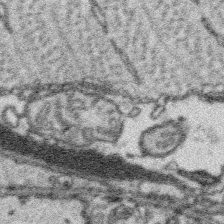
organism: Platynereis dumerilii